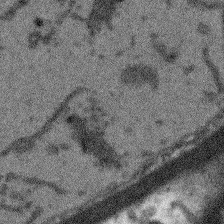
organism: Arabidopsis thaliana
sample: Root tip